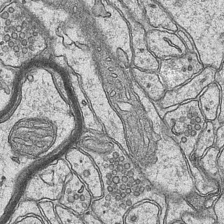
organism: Mouse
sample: CA1 Hippocampus